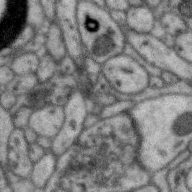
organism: Zebra finch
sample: Brain